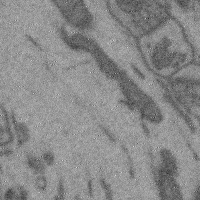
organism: Mouse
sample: Cerebral cortex